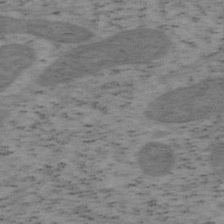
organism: Mouse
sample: OT-I killer T cells with ID8 ovarian cancer cells